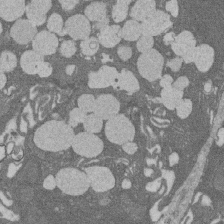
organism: Rat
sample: Salivary granule